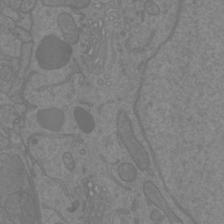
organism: Mouse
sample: Cortical neurons